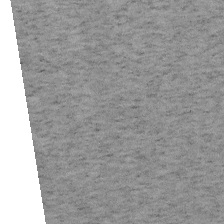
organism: Mouse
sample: OT-I killer T cells with ID8 ovarian cancer cells